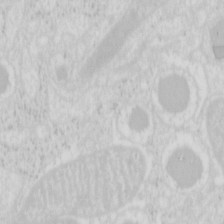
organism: Mouse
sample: Pancreas